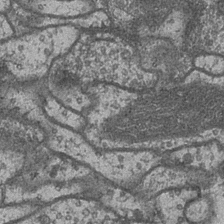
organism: Drosophila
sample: Optic medulla